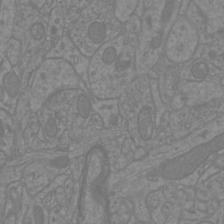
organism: Mouse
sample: Cortical neurons